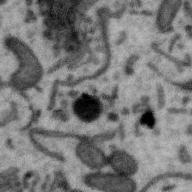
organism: Zebra finch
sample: Brain